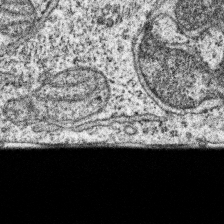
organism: Human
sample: HeLa cells